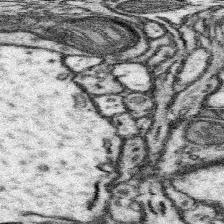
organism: Mouse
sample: Somatosensory cortex neuropil